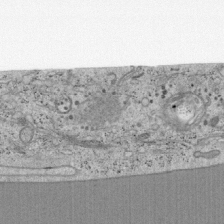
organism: Human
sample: HeLa cells